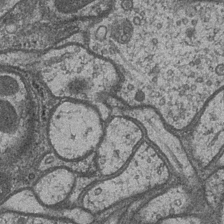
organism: Drosophila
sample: Optic medulla